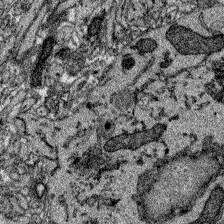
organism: Zebrafish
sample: Larval olfactory bulb